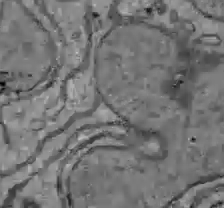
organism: C57BL Mouse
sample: Liver